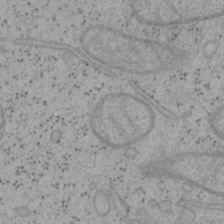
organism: Human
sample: HeLa cells